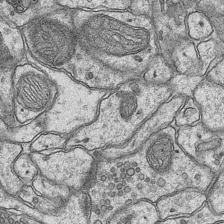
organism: Mouse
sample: CA1 Hippocampus